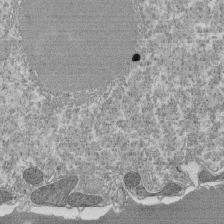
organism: Tetrahymena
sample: Cilia in tetrahymena